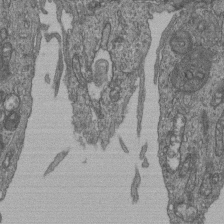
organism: Human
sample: Retinal organoid Rod and Cone cells